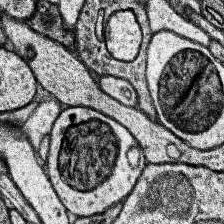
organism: Human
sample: Temporal Lobe